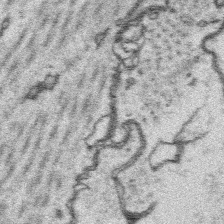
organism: Platynereis dumerilii